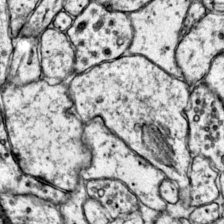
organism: Mouse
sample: Primary visual cortex